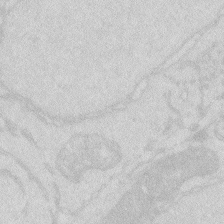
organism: Zebrafish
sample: Macrophage